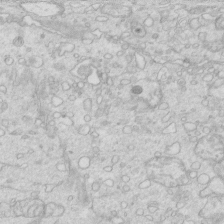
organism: Mouse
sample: Multiciliated cells